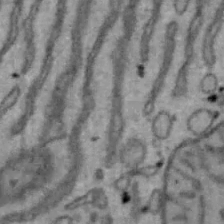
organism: Mouse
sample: Liver